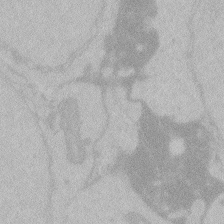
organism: Zebrafish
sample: Macrophage infected with Toxoplasma gondii